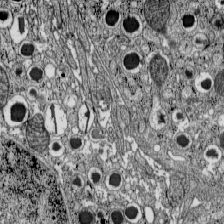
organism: C57BL Mouse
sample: Pancreatic islet